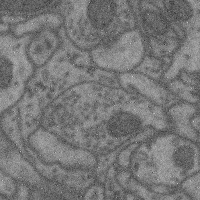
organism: Mouse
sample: Cerebral cortex